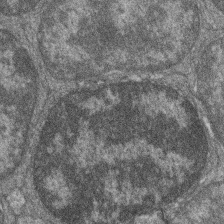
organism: Zebrafish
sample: Cilia; retinal pigment epithelium